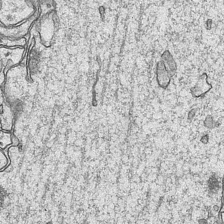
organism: Mouse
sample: CA1 Hippocampus